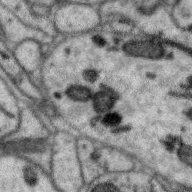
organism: Zebra finch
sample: Brain